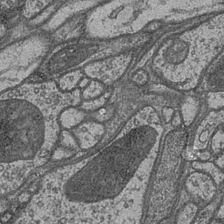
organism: Drosophila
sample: Optic medulla